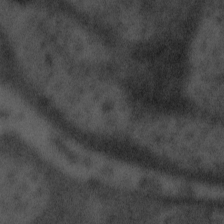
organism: Tuwongella immobilis